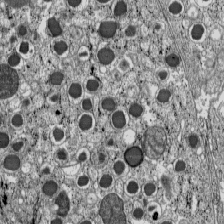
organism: C57BL Mouse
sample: Pancreatic islet